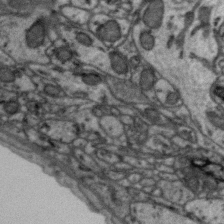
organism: Zebra finch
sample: Brain